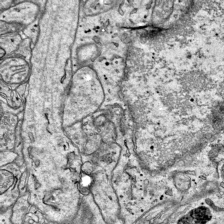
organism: Mouse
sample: Visual Cortex